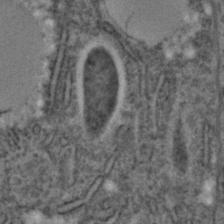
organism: C. elegans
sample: C. elegans embryo